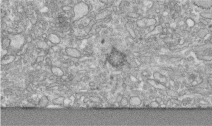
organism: Human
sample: Centriole in RPE cells